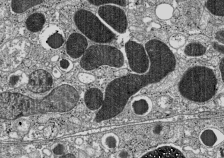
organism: C57BL Mouse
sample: Pancreatic islet